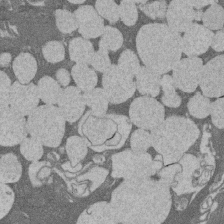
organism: Rat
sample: Salivary granule